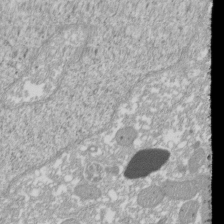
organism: Xenopus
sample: Cilia; centrioles in frog embryo cells